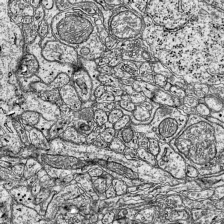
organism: Mouse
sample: Visual Cortex